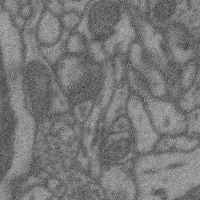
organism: Mouse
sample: Cerebral cortex